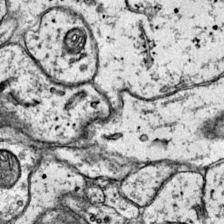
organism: Mouse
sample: Primary visual cortex